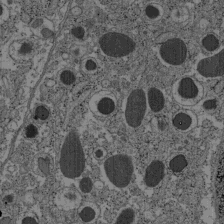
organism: C57BL Mouse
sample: Pancreatic islet